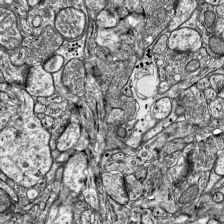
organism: Mouse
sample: Visual Cortex